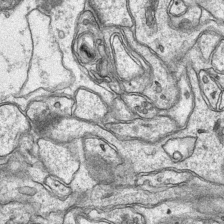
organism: Mouse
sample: CA1 Hippocampus